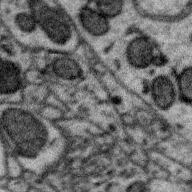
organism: Zebra finch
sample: Brain